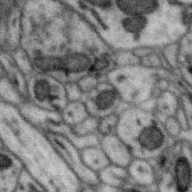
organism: Zebra finch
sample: Brain